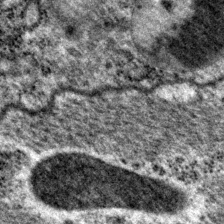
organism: P. pacificus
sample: Pharynx